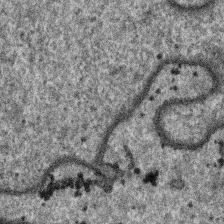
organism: Human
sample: Lung epithelial cells infected with SARS-CoV-2